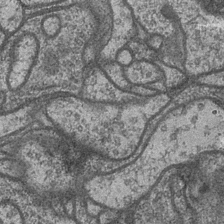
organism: Drosophila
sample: Optic medulla